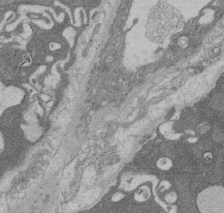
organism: Rat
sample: Salivary granule